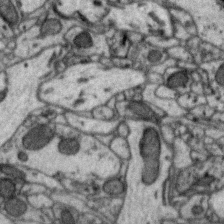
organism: Zebra finch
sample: Brain